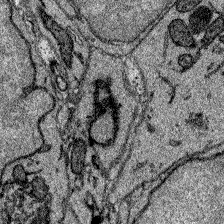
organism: Zebrafish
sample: Larval olfactory bulb